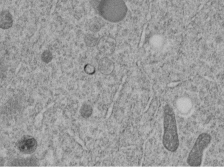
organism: C. elegans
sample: C. elegans embryo early stage